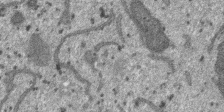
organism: Human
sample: Lung epithelial cells infected with SARS-CoV-2